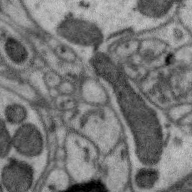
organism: Zebra finch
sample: Brain